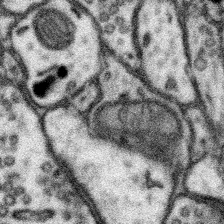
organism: Mouse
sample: Somatosensory cortex neuropil